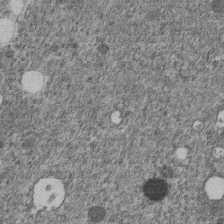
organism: C. elegans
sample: C. elegans embryo early stage